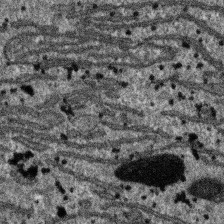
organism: Human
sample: Lung epithelial cells infected with SARS-CoV-2